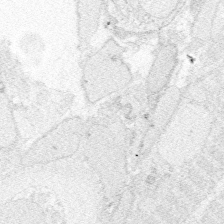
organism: Zebrafish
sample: Whole-Brain